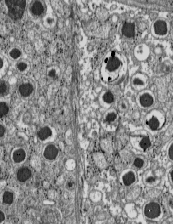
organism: C57BL Mouse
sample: Pancreatic islet